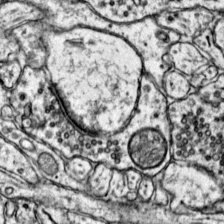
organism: Mouse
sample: Primary visual cortex